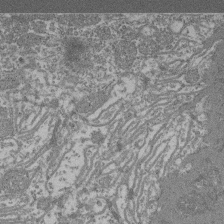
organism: Mouse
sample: Glomerulus